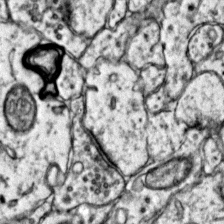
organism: Mouse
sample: Primary visual cortex